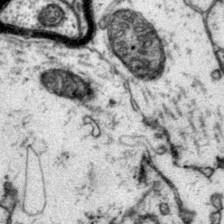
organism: Mouse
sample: Primary visual cortex